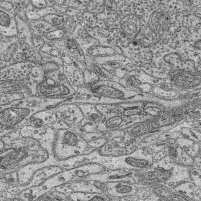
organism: Mouse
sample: Retina